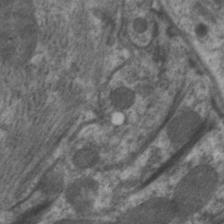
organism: C. elegans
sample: Pharynx